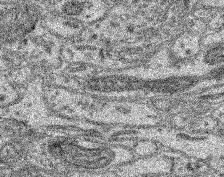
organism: Mouse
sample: Retina